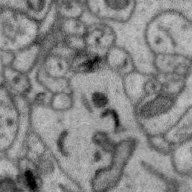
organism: Zebra finch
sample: Brain